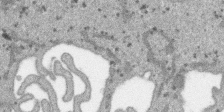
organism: Human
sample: Lung epithelial cells infected with SARS-CoV-2